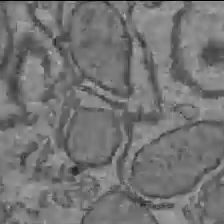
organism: C57BL Mouse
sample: Liver